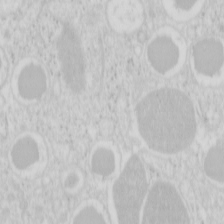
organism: Mouse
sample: Pancreas